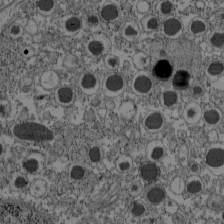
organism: C57BL Mouse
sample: Pancreatic islet